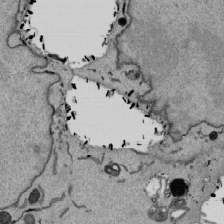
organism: Mouse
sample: ED-1 cell nuclei; centrioles